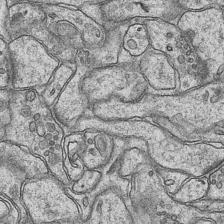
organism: Mouse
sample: CA1 Hippocampus